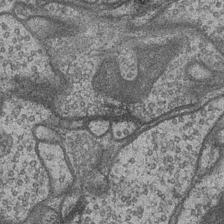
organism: Drosophila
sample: Optic medulla